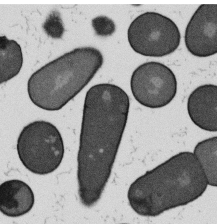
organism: B. subtilis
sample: Bacterial spore